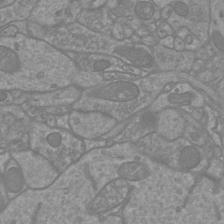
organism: Mouse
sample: Cortical neurons